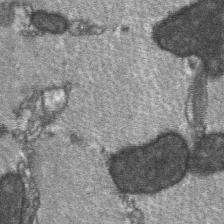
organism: C57BL Mouse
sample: Soleus